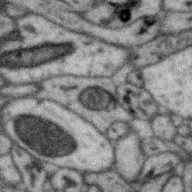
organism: Zebra finch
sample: Brain